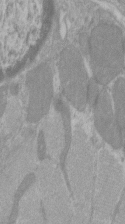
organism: C57BL Mouse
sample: Tibialis anterior muscle cell